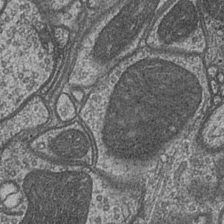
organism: Drosophila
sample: Optic medulla